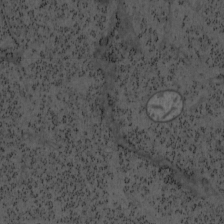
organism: Mouse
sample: OT-I killer T cells with ID8 ovarian cancer cells